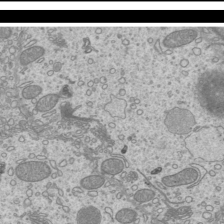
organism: Mouse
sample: Cilia; mouse epididymis